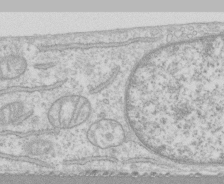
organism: Human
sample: CRL-1474